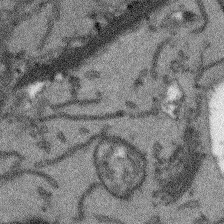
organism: Arabidopsis thaliana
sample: Root tip